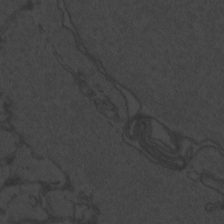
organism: Zebrafish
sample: Macrophage infected with Toxoplasma gondii